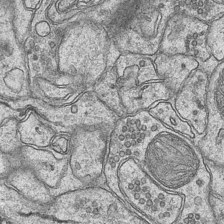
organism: Mouse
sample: CA1 Hippocampus